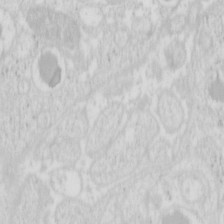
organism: Mouse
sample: Pancreas